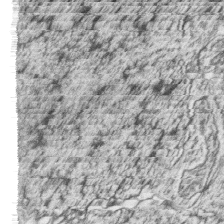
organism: Zebrafish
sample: synaptic ribbons in rod cells and cone cells